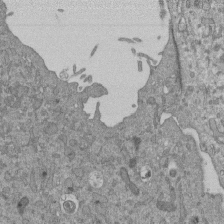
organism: Mouse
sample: ED-1 cell nuclei; centrioles